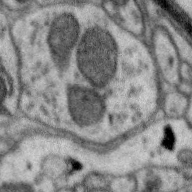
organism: Zebra finch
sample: Brain